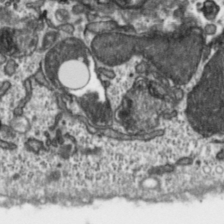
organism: Toxoplasma gondii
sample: Parasites in a vacuole inside a host cell